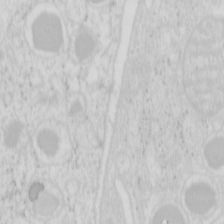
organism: Mouse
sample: Pancreas